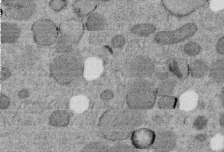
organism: C. elegans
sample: C. elegans embryo early stage